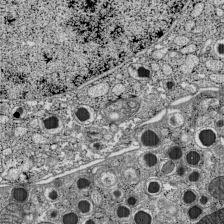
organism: C57BL Mouse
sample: Pancreatic islet